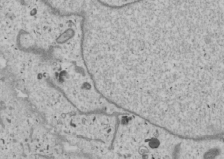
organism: Human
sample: Mitochondria in U2OS cells